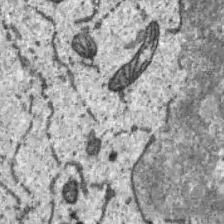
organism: Human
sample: HeLa cells